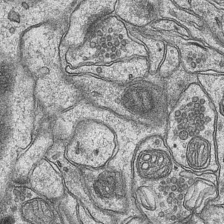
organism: Mouse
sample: CA1 Hippocampus